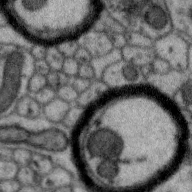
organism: Zebra finch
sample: Brain